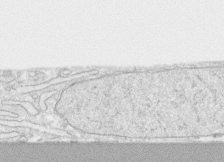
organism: Human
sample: CRL-1474